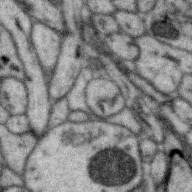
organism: Zebra finch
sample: Brain